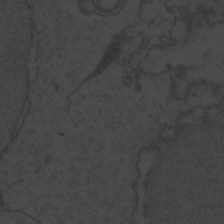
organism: Zebrafish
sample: Macrophage infected with Toxoplasma gondii